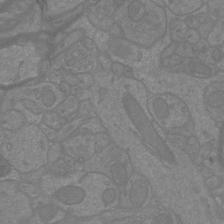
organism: Mouse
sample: Cortical neurons